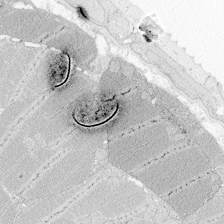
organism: Zebrafish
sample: Whole-Brain